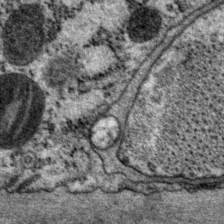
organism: P. pacificus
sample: Pharynx